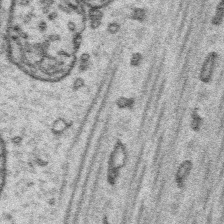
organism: Platynereis dumerilii